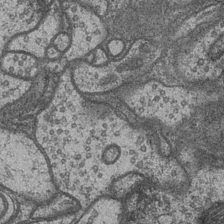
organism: Drosophila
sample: Optic medulla